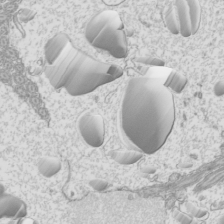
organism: Mouse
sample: Cilia; mouse epididymis